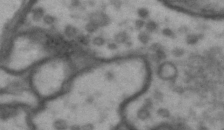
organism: Drosophila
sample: Brain